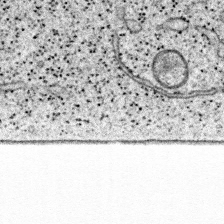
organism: Human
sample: HeLa cells